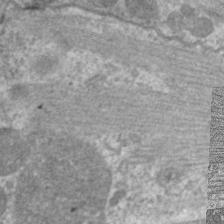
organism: C. elegans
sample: Pharynx